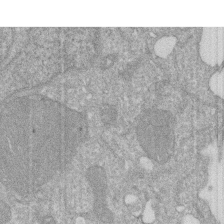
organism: Human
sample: HIV infected U937 cells